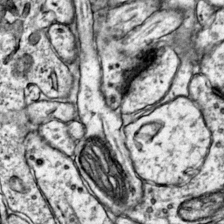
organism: Mouse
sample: Primary visual cortex